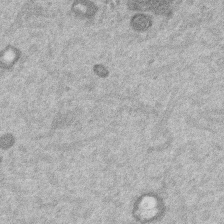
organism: Mouse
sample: Dividing mouse embryo 1 cell stage